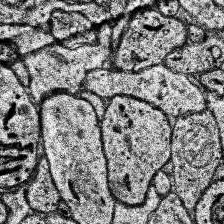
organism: Human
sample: Temporal Lobe